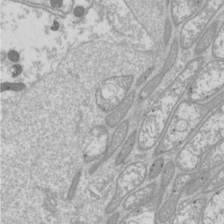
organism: Drosophila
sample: Cell division; meiosis; drosophila spermatocytes